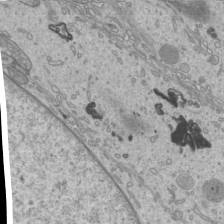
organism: Mouse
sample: Cilia; mouse epididymis